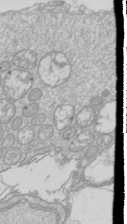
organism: Drosophila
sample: Cell division; meiosis; drosophila spermatocytes